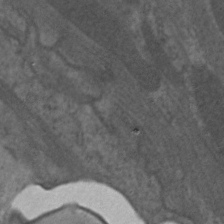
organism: C. elegans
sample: Pharynx